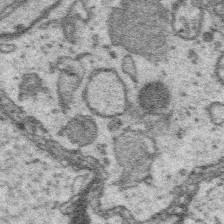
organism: Platynereis dumerilii